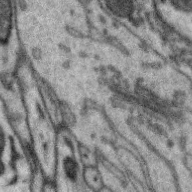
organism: Zebra finch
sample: Brain